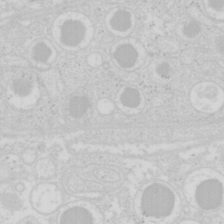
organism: Mouse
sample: Pancreas